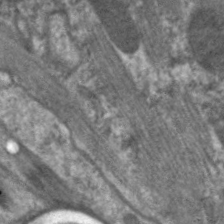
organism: C. elegans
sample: Pharynx